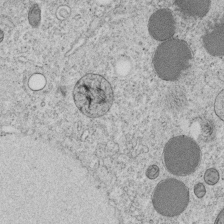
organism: C. elegans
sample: C. elegans embryo early stage